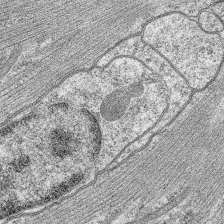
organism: C. elegans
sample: Pharynx